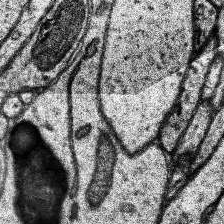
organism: Human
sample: Temporal Lobe